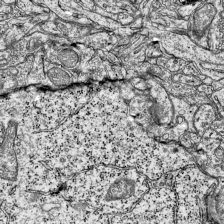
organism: Mouse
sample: Visual Cortex